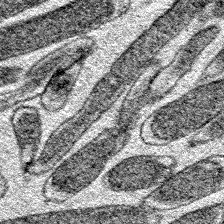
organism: E. coli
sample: E. Coli Bacteria